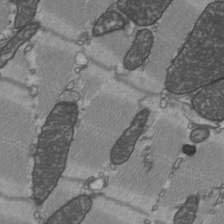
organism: C57BL Mouse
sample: Heart